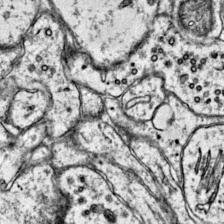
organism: Mouse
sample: Primary visual cortex